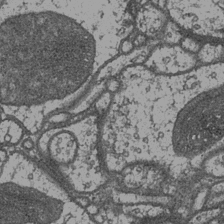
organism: Drosophila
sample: Optic medulla